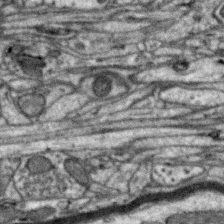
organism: Zebra finch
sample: Brain